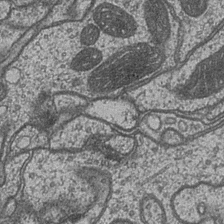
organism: Drosophila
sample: Optic medulla